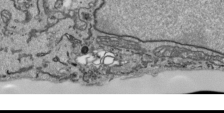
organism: Human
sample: Mitochondria in HCT116 cells